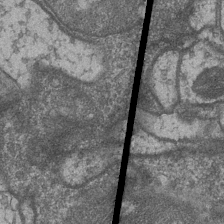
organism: Drosophila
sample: Optic medulla